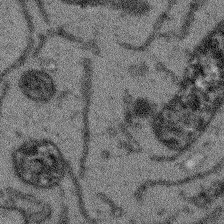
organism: Arabidopsis thaliana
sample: Root tip